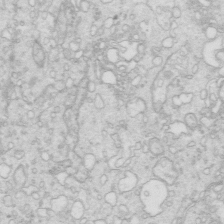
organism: Mouse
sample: Multiciliated cells